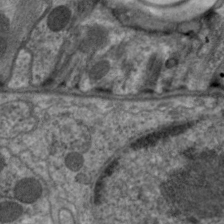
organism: C. elegans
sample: Pharynx